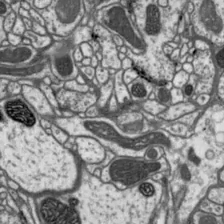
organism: Drosophila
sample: Protocerebral bridge